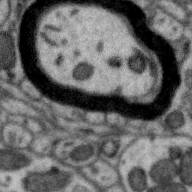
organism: Zebra finch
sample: Brain